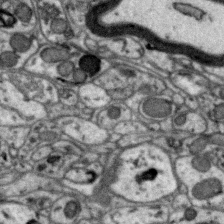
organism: Zebra finch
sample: Brain